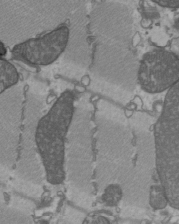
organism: C57BL Mouse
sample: Heart